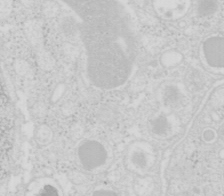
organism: Mouse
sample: Pancreas